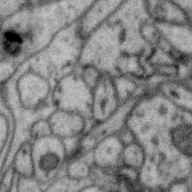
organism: Zebra finch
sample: Brain